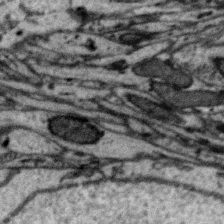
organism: Zebra finch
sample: Brain